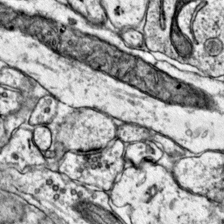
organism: Mouse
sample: Primary visual cortex